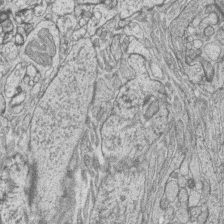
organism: Zebrafish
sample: synaptic ribbons in rod cells and cone cells